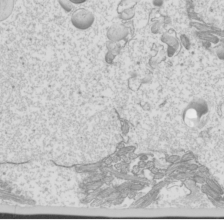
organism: Mouse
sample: Cilia; mouse epididymis